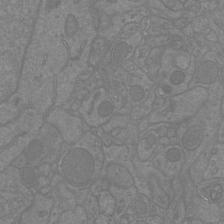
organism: Mouse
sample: Cortical neurons